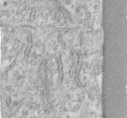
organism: Human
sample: Centriole in fibroblast cells